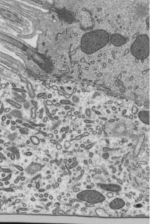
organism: Mouse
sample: Mouse epididymis efferent ductule cilia